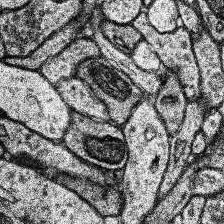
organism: Human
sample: Temporal Lobe